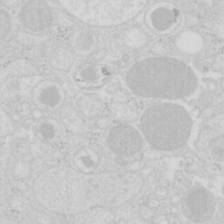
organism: Mouse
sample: Pancreas